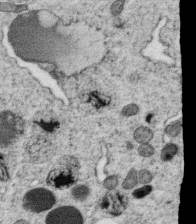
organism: C. elegans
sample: C. elegans oocyte; sperm cells